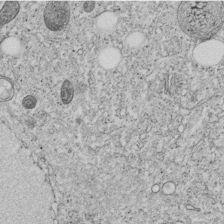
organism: C. elegans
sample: C. elegans embryo early stage